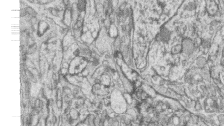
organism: Zebrafish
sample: synaptic ribbons in rod cells and cone cells